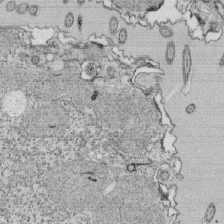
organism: Tetrahymena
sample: Cilia in tetrahymena